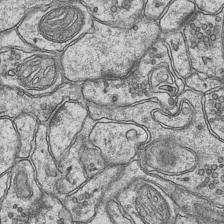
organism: Mouse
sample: CA1 Hippocampus